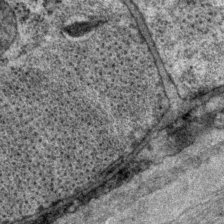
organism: P. pacificus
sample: Pharynx